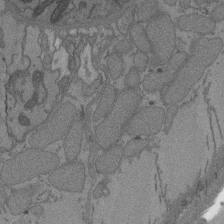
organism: C. elegans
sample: AFD neurons C. elegans